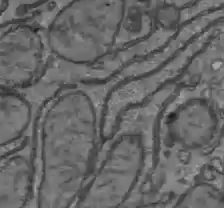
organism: C57BL Mouse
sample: Liver